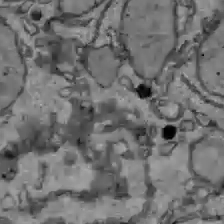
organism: C57BL Mouse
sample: Liver